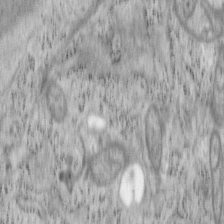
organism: Human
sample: HeLa cells